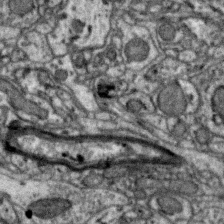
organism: Zebra finch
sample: Brain